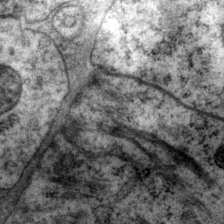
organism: P. pacificus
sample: Pharynx